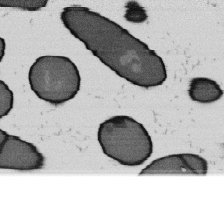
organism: B. subtilis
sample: Bacterial spore